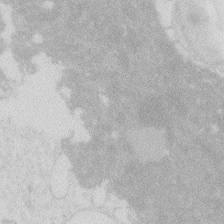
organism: Zebrafish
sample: Macrophage